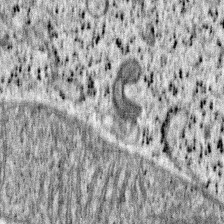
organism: Human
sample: HeLa cells